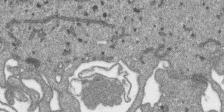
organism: Human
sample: Lung epithelial cells infected with SARS-CoV-2